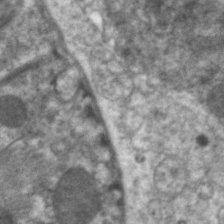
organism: C. elegans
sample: Pharynx